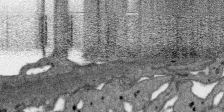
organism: Human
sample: Lung epithelial cells, uninfected (mock) control